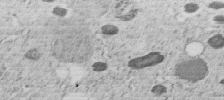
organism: C. elegans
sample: C. elegans embryo early stage